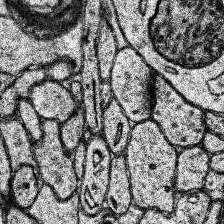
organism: Human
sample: Temporal Lobe